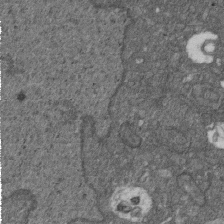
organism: Drosophila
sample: Nephrocyte